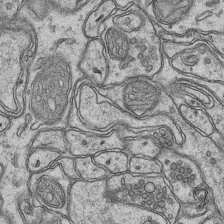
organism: Mouse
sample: CA1 Hippocampus